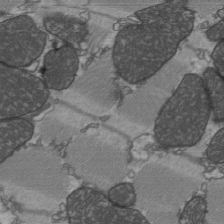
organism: C57BL Mouse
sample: Heart